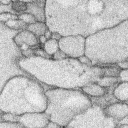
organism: Rabbit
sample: Retina